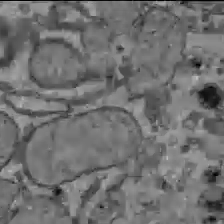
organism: C57BL Mouse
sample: Liver